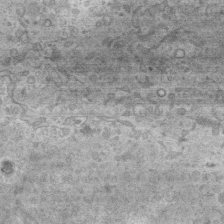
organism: Mouse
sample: Centriole in ependymal cells